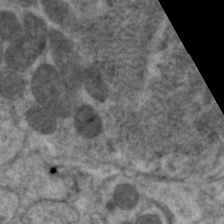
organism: C. elegans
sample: Pharynx